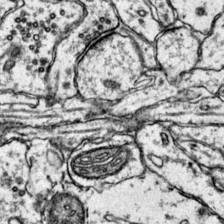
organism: Mouse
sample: Primary visual cortex